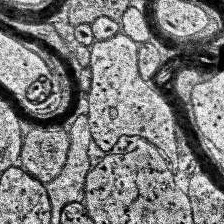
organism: Human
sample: Temporal Lobe